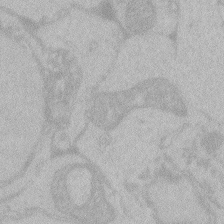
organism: Zebrafish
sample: Macrophage infected with Toxoplasma gondii